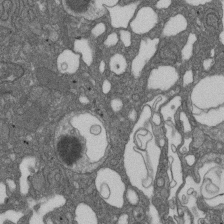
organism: Drosophila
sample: Nephrocyte